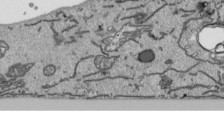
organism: Human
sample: Mitochondria in HCT116 cells